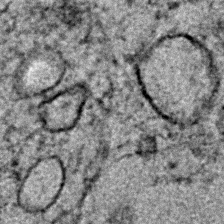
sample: Trachea